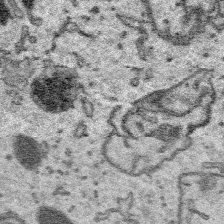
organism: Platynereis dumerilii